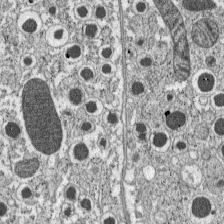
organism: C57BL Mouse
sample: Pancreatic islet